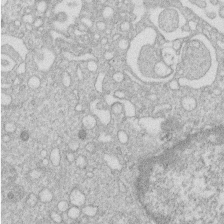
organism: Human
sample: Macrophage cells